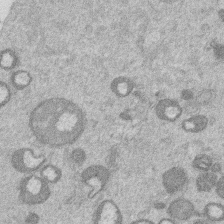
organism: Mouse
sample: Dividing mouse embryo 1 cell stage